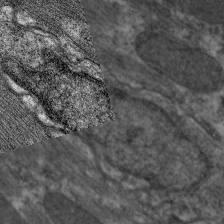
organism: C. elegans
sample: Pharynx